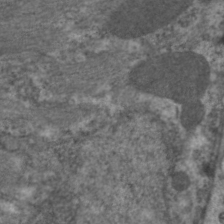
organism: C. elegans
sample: Pharynx